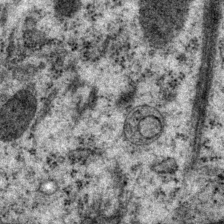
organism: P. pacificus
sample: Pharynx